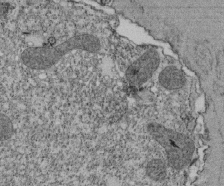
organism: Tetrahymena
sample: Cilia in tetrahymena